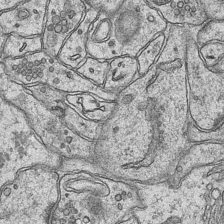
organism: Mouse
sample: CA1 Hippocampus